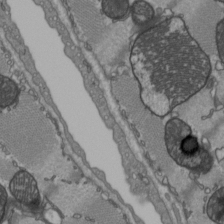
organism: C57BL Mouse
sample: Heart